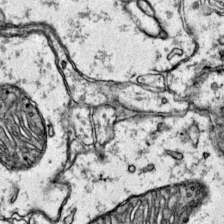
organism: Mouse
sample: Primary visual cortex